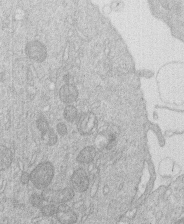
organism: Human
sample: Macrophage cells